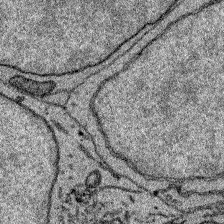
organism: Zebrafish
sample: Larval olfactory bulb